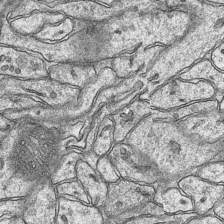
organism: Mouse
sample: CA1 Hippocampus